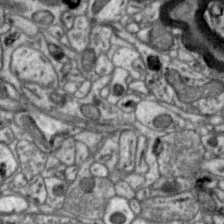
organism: Zebra finch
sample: Brain